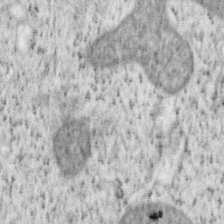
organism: Mouse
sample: OT-I killer T cells with ID8 ovarian cancer cells